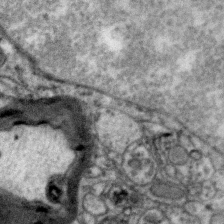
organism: Zebra finch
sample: Brain